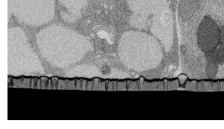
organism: Rat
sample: Salivary granule